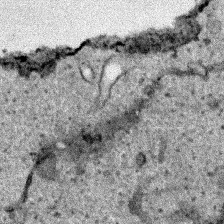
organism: Human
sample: Mitochondria in HCT116 cells